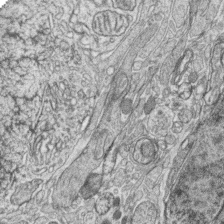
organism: Zebrafish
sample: synaptic ribbons in rod cells and cone cells